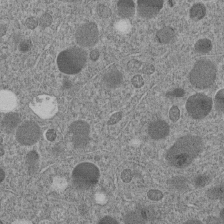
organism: C. elegans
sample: C. elegans embryo early stage